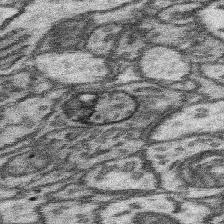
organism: Mouse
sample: Somatosensory cortex neuropil